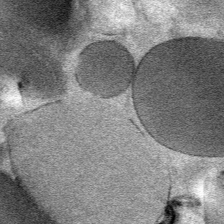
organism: Mouse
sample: Mouse Salivary gland